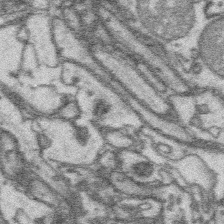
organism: Platynereis dumerilii